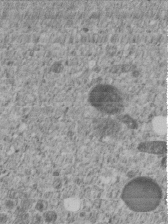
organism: C. elegans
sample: C. elegans embryo early stage